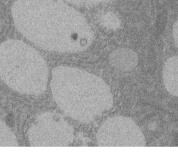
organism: Rat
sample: Salivary granule